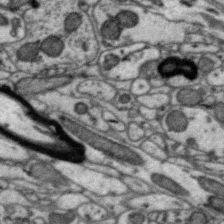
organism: Zebra finch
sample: Brain